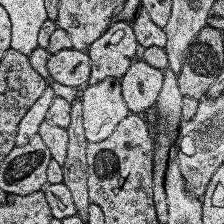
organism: Human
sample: Temporal Lobe